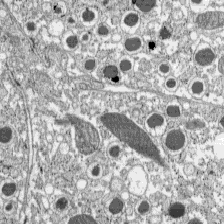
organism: C57BL Mouse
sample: Pancreatic islet